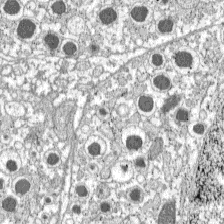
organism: C57BL Mouse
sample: Pancreatic islet